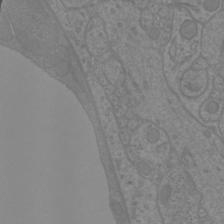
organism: Mouse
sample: Cortical neurons